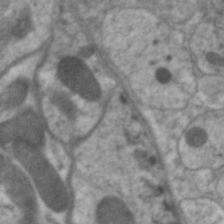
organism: C. elegans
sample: Pharynx